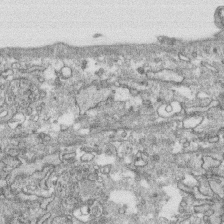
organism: Human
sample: CRL-1474